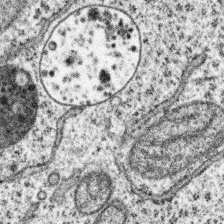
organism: Human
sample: HeLa cells